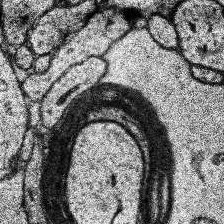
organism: Human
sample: Temporal Lobe